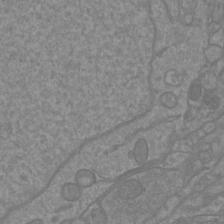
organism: Mouse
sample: Cortical neurons